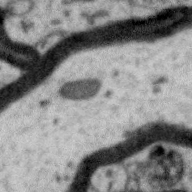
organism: Zebra finch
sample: Brain